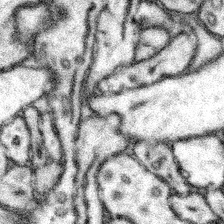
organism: Mouse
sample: Somatosensory cortex neuropil